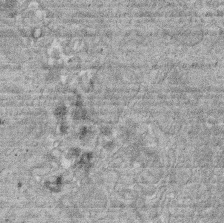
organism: Rat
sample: Salivary granule